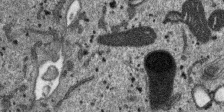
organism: Human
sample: Lung epithelial cells infected with SARS-CoV-2